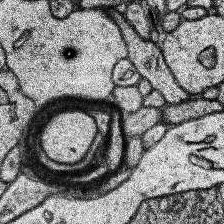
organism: Human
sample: Temporal Lobe